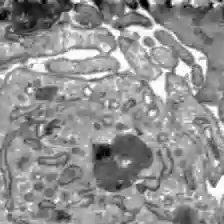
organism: C57BL Mouse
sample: Liver